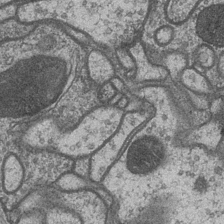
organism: Drosophila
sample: Optic medulla